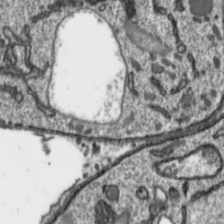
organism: Toxoplasma gondii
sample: Parasites in a vacuole inside a host cell